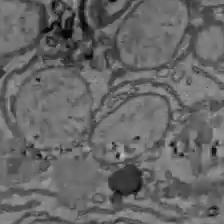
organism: C57BL Mouse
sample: Liver